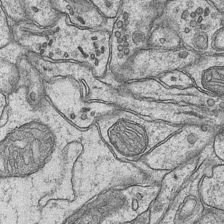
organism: Mouse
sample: CA1 Hippocampus